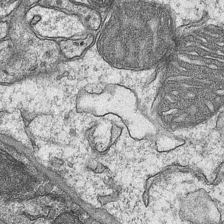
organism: Mouse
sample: CA1 Hippocampus